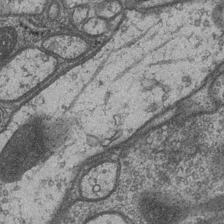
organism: Drosophila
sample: Optic medulla